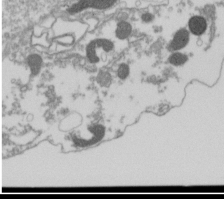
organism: Drosophila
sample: Cell division; meiosis; drosophila spermatocytes